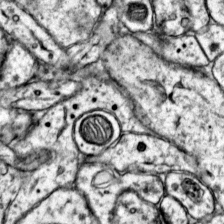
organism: Mouse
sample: Primary visual cortex